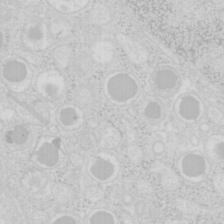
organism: Mouse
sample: Pancreas